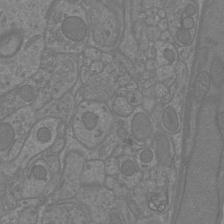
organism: Mouse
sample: Cortical neurons